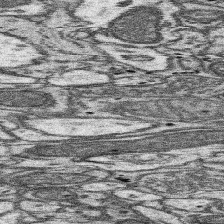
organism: Mouse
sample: Somatosensory cortex neuropil